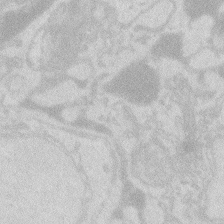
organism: Zebrafish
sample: Macrophage